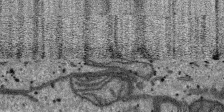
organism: Human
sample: Lung epithelial cells, uninfected (mock) control